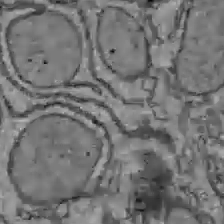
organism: C57BL Mouse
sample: Liver